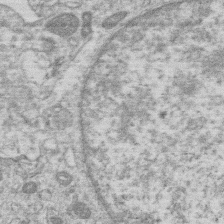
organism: Human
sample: Macrophage cells